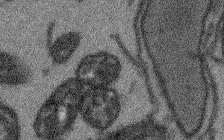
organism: Arabidopsis thaliana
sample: Root tip